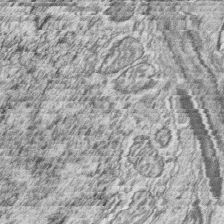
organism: Zebrafish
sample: synaptic ribbons in rod cells and cone cells